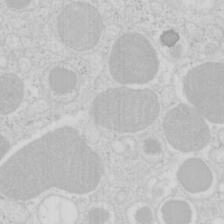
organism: Mouse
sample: Pancreas